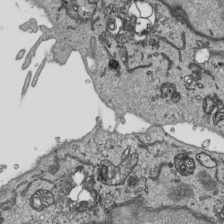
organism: Human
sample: Mitochondria in HCT116 cells